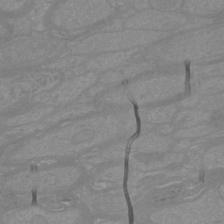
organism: Mouse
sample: Cortical neurons